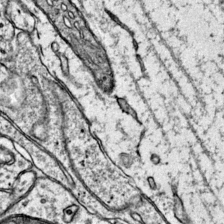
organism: Mouse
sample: Primary visual cortex